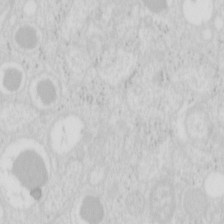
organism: Mouse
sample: Pancreas